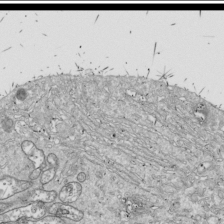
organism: Drosophila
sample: Cell division; meiosis; drosophila spermatocytes